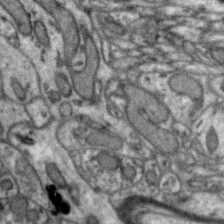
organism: Zebra finch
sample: Brain